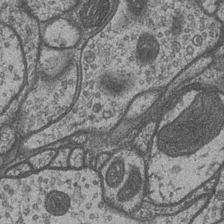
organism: Drosophila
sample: Optic medulla